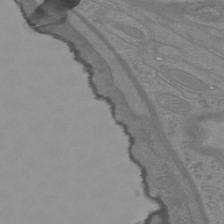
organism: Mouse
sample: Cortical neurons